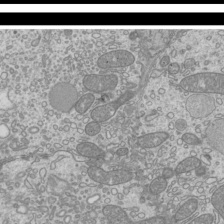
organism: Mouse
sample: Cilia; mouse epididymis